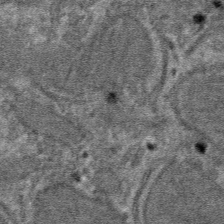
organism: Mouse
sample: Mouse hepatocytes